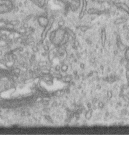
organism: Human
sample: Centriole in RPE cells